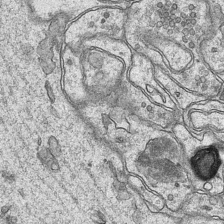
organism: Mouse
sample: CA1 Hippocampus